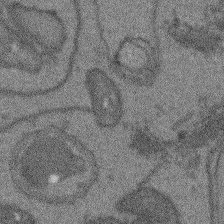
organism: Arabidopsis thaliana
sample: Root tip